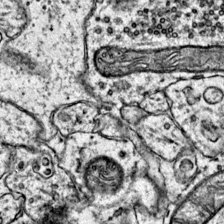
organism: Mouse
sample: Primary visual cortex